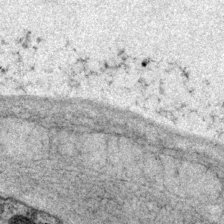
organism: P. pacificus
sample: Pharynx